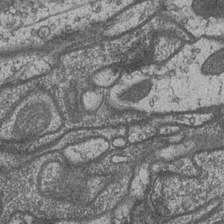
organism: Drosophila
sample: Optic medulla